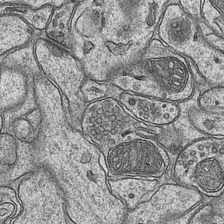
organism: Mouse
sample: CA1 Hippocampus